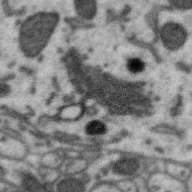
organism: Zebra finch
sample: Brain